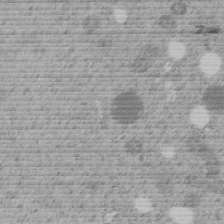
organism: C. elegans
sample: C. elegans embryo early stage